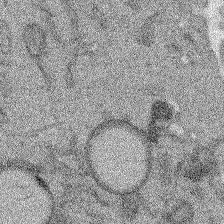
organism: Human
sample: HeLa cells